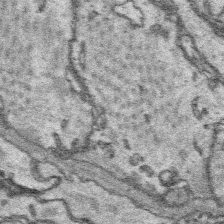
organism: Platynereis dumerilii